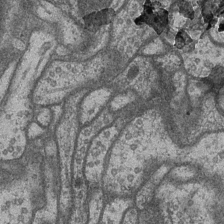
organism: Drosophila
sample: Optic medulla